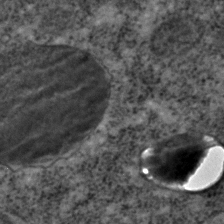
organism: C. elegans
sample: C. elegans embryo